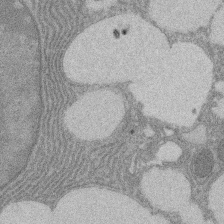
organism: Rat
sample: Salivary granule